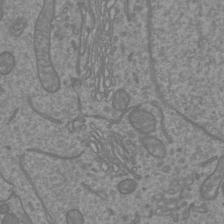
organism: Mouse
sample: Cortical neurons